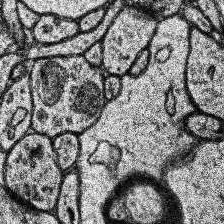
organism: Human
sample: Temporal Lobe